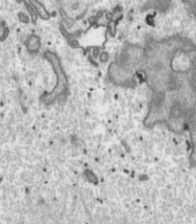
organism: Toxoplasma gondii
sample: Parasites in a vacuole inside a host cell